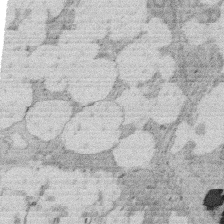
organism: Rat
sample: Salivary granule